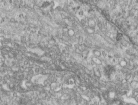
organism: Human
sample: Centriole in RPE cells